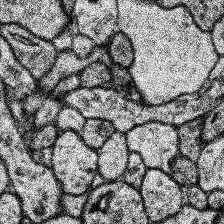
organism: Human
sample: Temporal Lobe